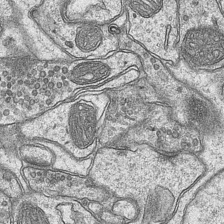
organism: Mouse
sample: CA1 Hippocampus